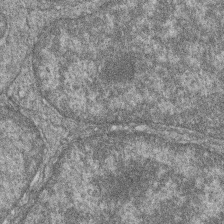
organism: Zebrafish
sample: Cilia; retinal pigment epithelium